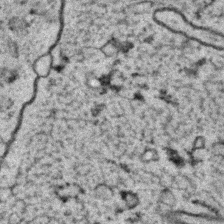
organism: C. elegans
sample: C. elegans embryo